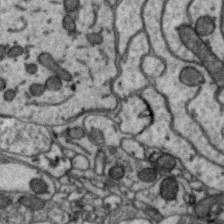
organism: Zebra finch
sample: Brain